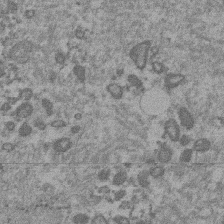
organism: Mouse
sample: Dividing mouse embryo 1 cell stage